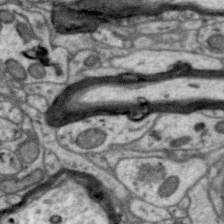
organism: Zebra finch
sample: Brain